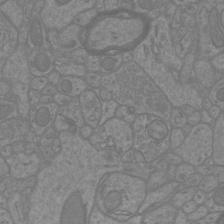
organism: Mouse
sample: Cortical neurons